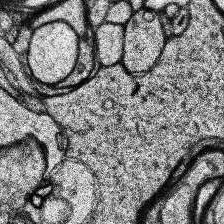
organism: Human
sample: Temporal Lobe